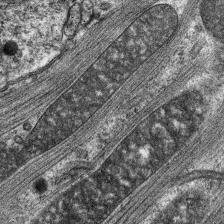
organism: C. elegans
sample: Pharynx